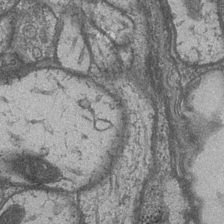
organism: Drosophila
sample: Optic medulla